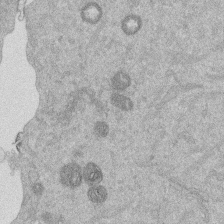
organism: Mouse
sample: Dividing mouse embryo 1 cell stage